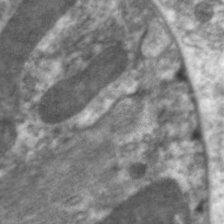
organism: C. elegans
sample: Pharynx